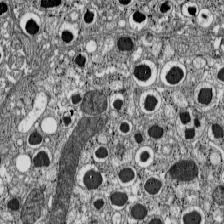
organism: C57BL Mouse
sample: Pancreatic islet